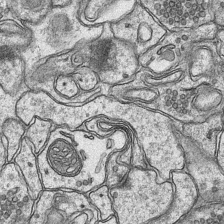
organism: Mouse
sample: CA1 Hippocampus